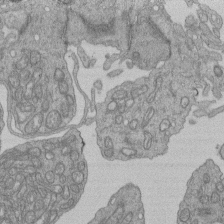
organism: Human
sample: Retinal organoid Rod and Cone cells